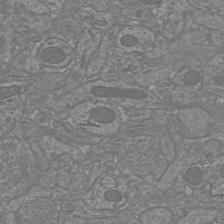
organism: Mouse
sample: Cortical neurons